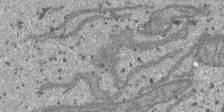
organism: Human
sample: Lung epithelial cells infected with SARS-CoV-2